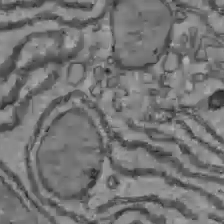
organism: C57BL Mouse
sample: Liver